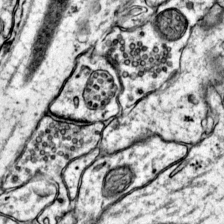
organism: Mouse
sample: Primary visual cortex